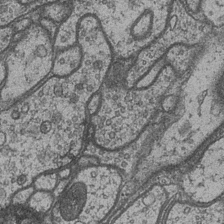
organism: Drosophila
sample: Optic medulla